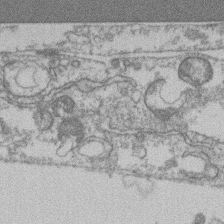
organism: Mouse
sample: T cell stromal cell synapse